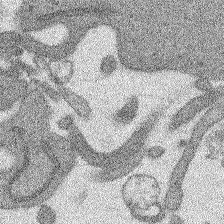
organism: Human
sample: HeLa cells